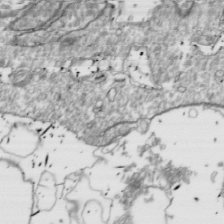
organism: Drosophila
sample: Cell division; meiosis; drosophila spermatocytes